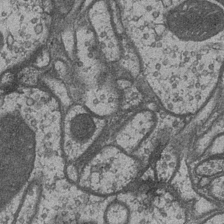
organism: Drosophila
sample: Optic medulla